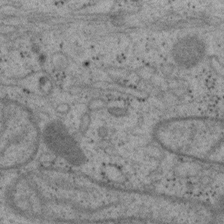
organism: Human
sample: HeLa cells